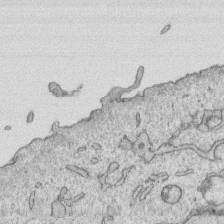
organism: Human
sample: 1205lu cells